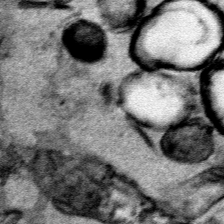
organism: Human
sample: Mitochondria in HCT116 cells